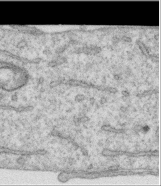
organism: Human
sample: Centriole in RPE cells